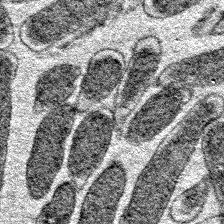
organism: E. coli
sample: E. Coli Bacteria